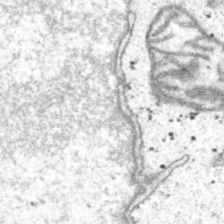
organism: Human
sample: HeLa cells